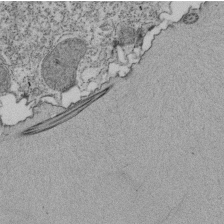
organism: Tetrahymena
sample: Cilia in tetrahymena